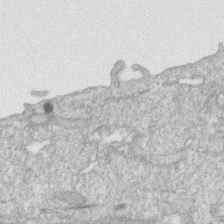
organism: Human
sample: HeLa cell HIV synapse